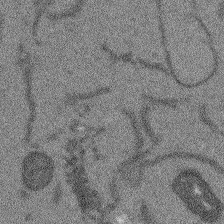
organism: Arabidopsis thaliana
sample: Root tip